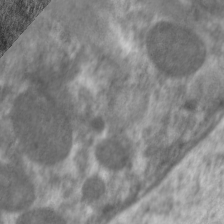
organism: C. elegans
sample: Pharynx